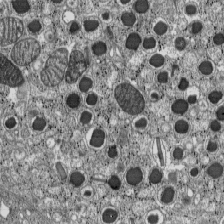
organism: C57BL Mouse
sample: Pancreatic islet